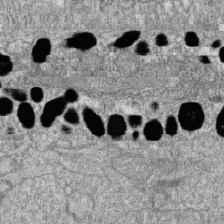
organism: Zebrafish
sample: Cilia; retinal pigment epithelium